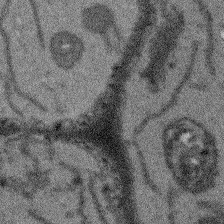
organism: Arabidopsis thaliana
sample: Root tip